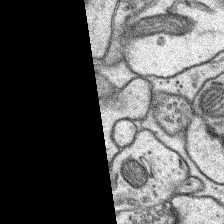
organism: Rat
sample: Hippocampus